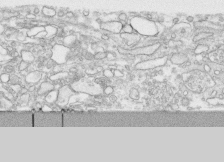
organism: Human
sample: CRL-1474